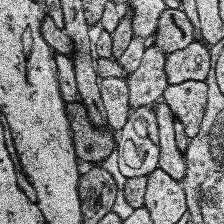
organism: Human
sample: Temporal Lobe